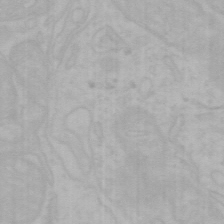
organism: Mouse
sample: Choroid plexus